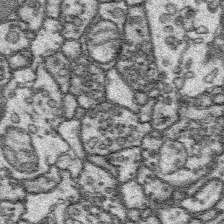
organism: Platynereis dumerilii